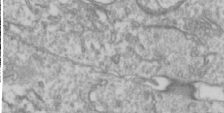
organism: Drosophila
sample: Cell division; meiosis; drosophila spermatocytes